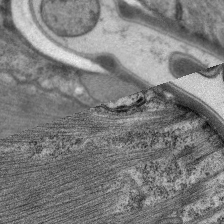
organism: C. elegans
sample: Pharynx